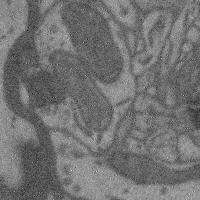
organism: Mouse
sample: Cerebral cortex